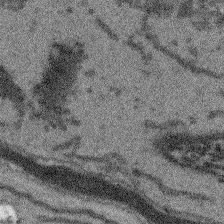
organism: Arabidopsis thaliana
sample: Root tip